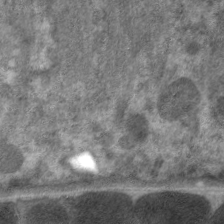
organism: C. elegans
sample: Pharynx